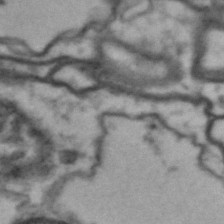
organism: Drosophila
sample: Brain